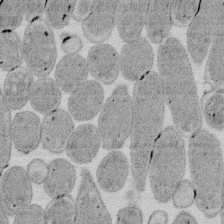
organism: E. coli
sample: Bacterial nucleoid